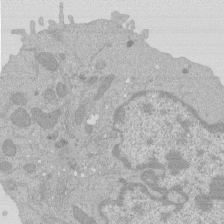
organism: Mouse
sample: Activated Pmel transgenic CD8+ T Cells